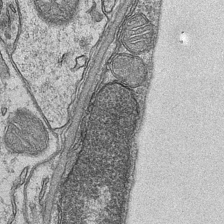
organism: Mouse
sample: CA1 Hippocampus